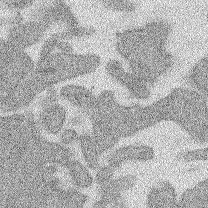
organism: Human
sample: HeLa cells